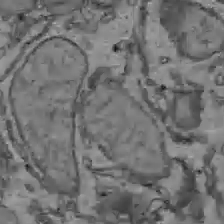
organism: C57BL Mouse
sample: Liver